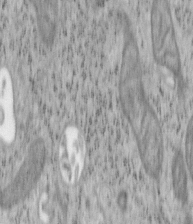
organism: Human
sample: HeLa cells